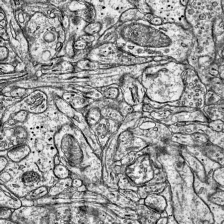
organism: Mouse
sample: Visual Cortex